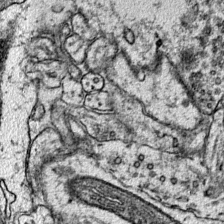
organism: Mouse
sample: Primary visual cortex